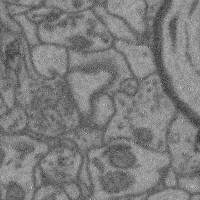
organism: Mouse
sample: Cerebral cortex